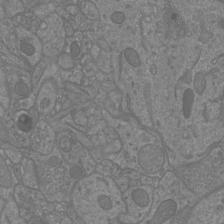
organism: Mouse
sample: Cortical neurons